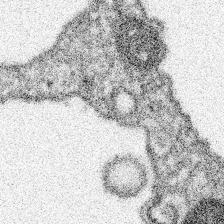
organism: Spongilla lacustris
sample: Neuroid cell